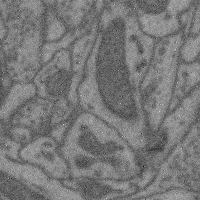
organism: Mouse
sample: Cerebral cortex